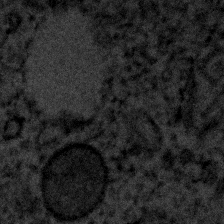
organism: Human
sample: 1205lu cells